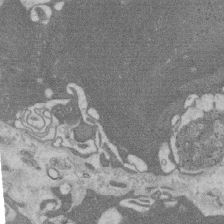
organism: Rat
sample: Salivary granule